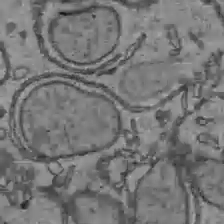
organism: C57BL Mouse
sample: Liver